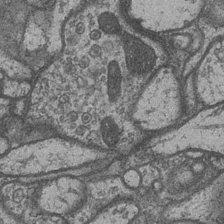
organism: Drosophila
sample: Optic medulla